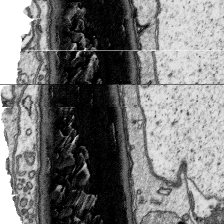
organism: Platynereis dumerilii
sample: Parapodia